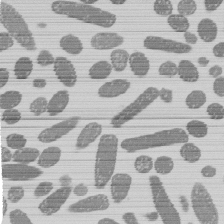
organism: E. coli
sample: Bacterial nucleoid